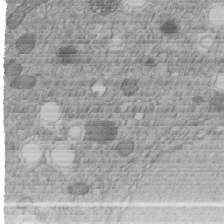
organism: C. elegans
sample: C. elegans embryo early stage